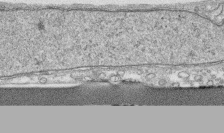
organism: Human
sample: CRL-1474